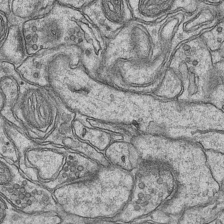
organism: Mouse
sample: CA1 Hippocampus